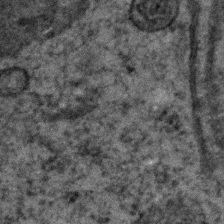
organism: C. elegans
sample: C. elegans embryo